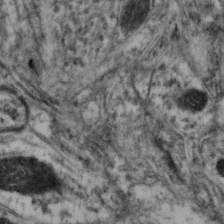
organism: Mouse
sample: Neocortex